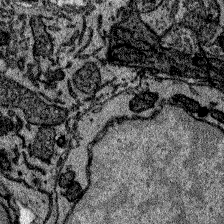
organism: Zebrafish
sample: Larval olfactory bulb